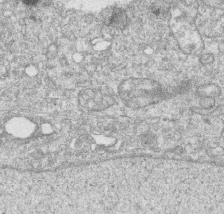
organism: Human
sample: HeLa cell HIV synapse